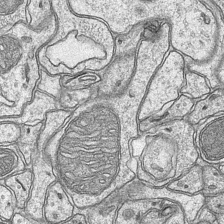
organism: Mouse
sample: CA1 Hippocampus